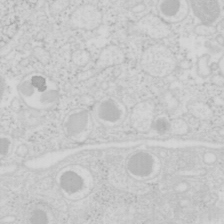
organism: Mouse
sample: Pancreas